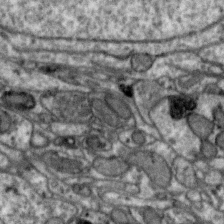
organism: Zebra finch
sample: Brain